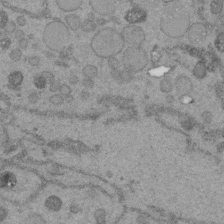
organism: C. elegans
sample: C. elegans embryo early stage